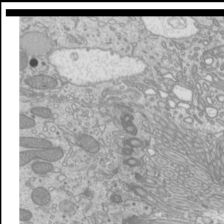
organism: Mouse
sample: Cilia; mouse epididymis